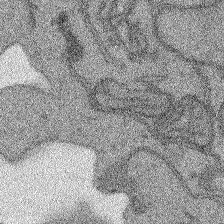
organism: Human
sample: HeLa cells